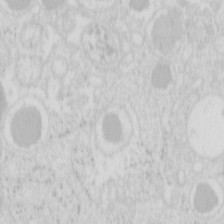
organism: Mouse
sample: Pancreas